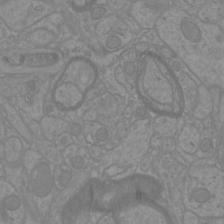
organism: Mouse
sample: Cortical neurons